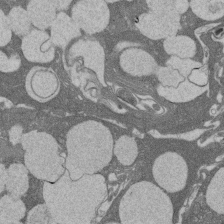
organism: Rat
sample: Salivary granule